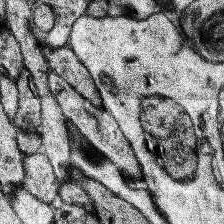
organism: Human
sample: Temporal Lobe